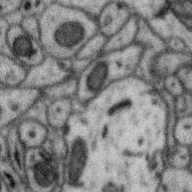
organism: Zebra finch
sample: Brain